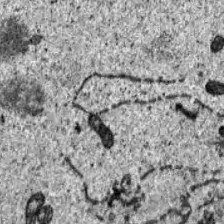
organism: Human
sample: HeLa cells